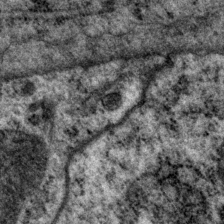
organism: P. pacificus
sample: Pharynx